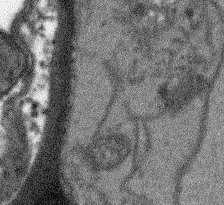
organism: Arabidopsis thaliana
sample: Root tip